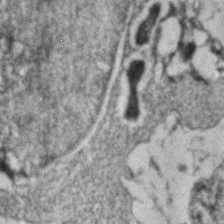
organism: Zebrafish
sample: Zebrafish embryo